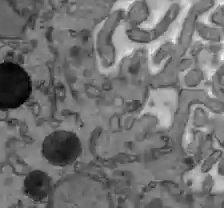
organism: C57BL Mouse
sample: Liver